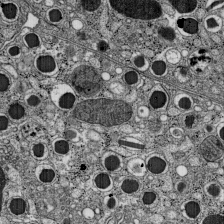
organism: C57BL Mouse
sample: Pancreatic islet